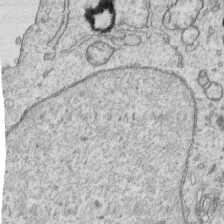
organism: Human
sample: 1205lu cells